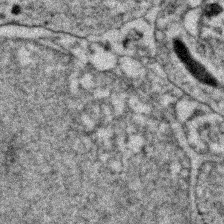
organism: Zebrafish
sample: Zebrafish embryo